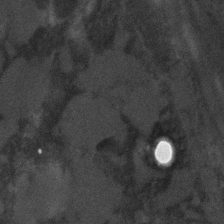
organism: C. elegans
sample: C. elegans embryo